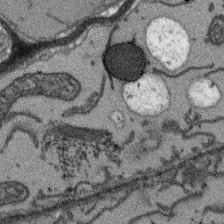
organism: Arabidopsis thaliana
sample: Root tip